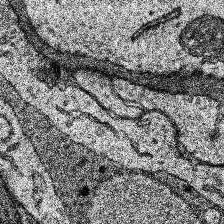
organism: Human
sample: Temporal Lobe